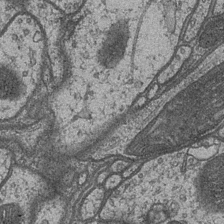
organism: Drosophila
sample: Optic medulla